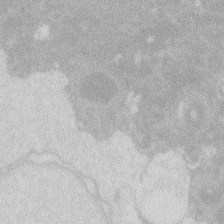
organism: Zebrafish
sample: Macrophage